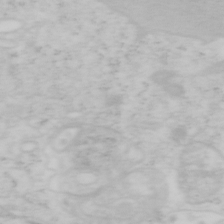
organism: Mouse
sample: OT-I killer T cells with ID8 ovarian cancer cells